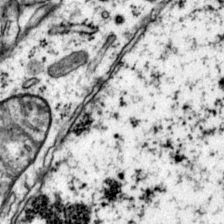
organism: Mouse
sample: Primary visual cortex